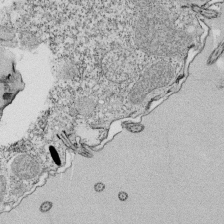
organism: Tetrahymena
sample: Cilia in tetrahymena